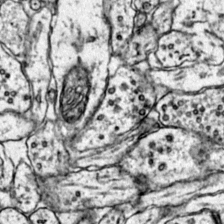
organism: Mouse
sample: Primary visual cortex